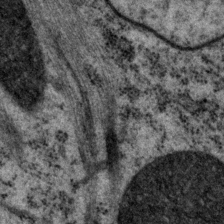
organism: P. pacificus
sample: Pharynx